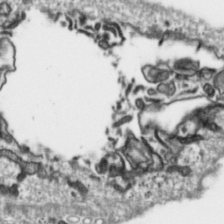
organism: Toxoplasma gondii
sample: Parasites in a vacuole inside a host cell